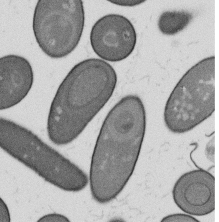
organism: B. subtilis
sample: Bacterial spore